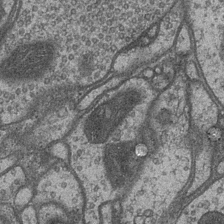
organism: Drosophila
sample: Optic medulla